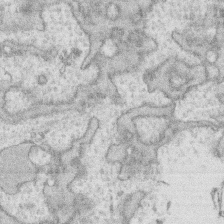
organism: Human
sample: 1205lu cells